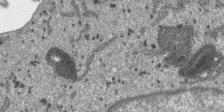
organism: Human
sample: Lung epithelial cells infected with SARS-CoV-2